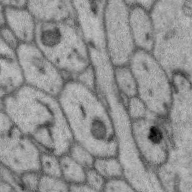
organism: Zebra finch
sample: Brain